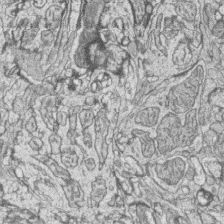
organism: Zebrafish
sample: synaptic ribbons in rod cells and cone cells